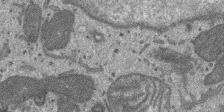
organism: Human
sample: Lung epithelial cells infected with SARS-CoV-2